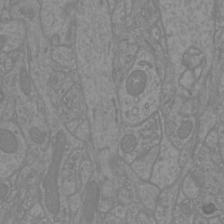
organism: Mouse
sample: Cortical neurons